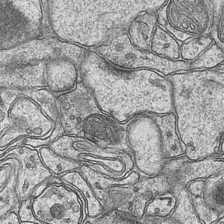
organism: Mouse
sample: CA1 Hippocampus